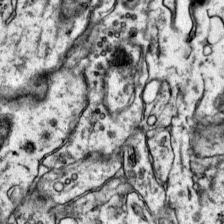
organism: Mouse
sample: Primary visual cortex